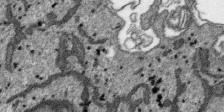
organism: Human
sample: Lung epithelial cells, uninfected (mock) control